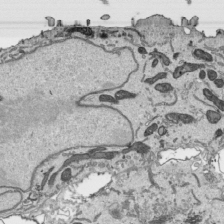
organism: Human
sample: Mitochondria in HCT116 cells